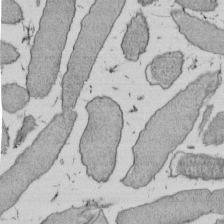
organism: E. coli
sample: Bacterial nucleoid